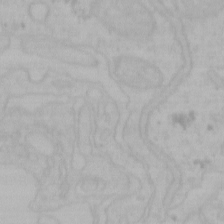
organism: Mouse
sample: Choroid plexus